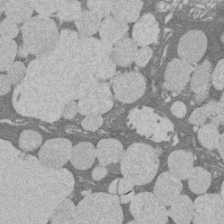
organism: Rat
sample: Salivary granule